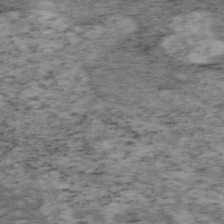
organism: Mouse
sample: OT-I killer T cells with ID8 ovarian cancer cells